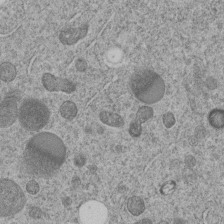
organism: C. elegans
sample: C. elegans embryo early stage